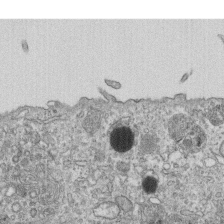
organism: Human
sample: HeLa cell HIV synapse